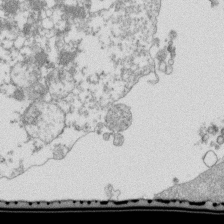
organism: Human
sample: HeLa cell HIV synapse